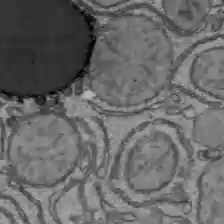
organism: C57BL Mouse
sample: Liver